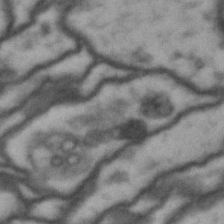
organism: Drosophila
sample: Brain